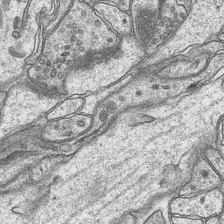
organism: Mouse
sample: CA1 Hippocampus